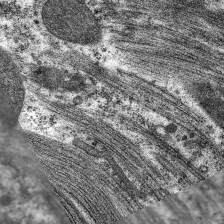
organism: C. elegans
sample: Pharynx